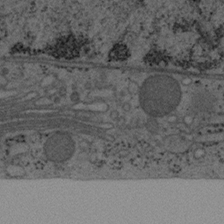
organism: Human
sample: HeLa cells